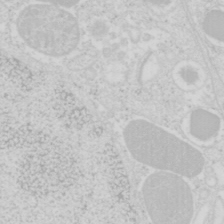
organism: Mouse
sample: Pancreas